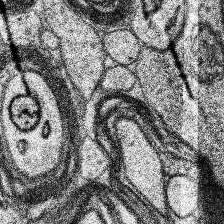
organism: Human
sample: Temporal Lobe